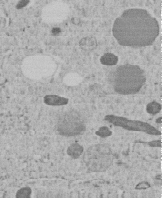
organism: C. elegans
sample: C. elegans embryo early stage